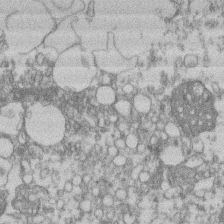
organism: Mouse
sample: T cell stromal cell synapse